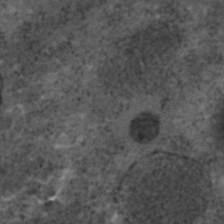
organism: C. elegans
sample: C. elegans embryo